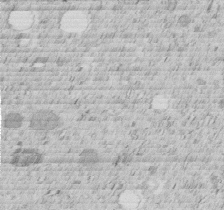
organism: C. elegans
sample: C. elegans embryo early stage